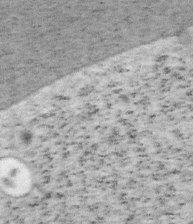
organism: Mouse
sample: OT-I killer T cells with ID8 ovarian cancer cells